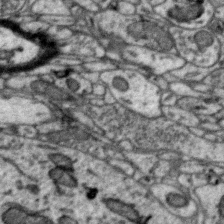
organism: Zebra finch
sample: Brain